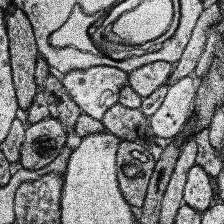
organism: Human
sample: Temporal Lobe